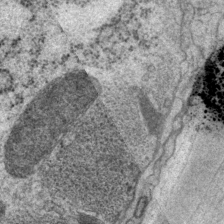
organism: P. pacificus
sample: Pharynx